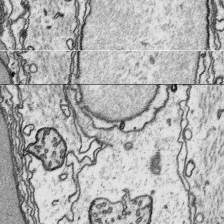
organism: Platynereis dumerilii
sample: Parapodia